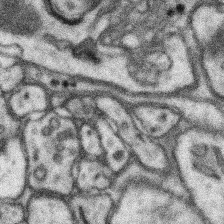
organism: Mouse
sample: Somatosensory cortex neuropil